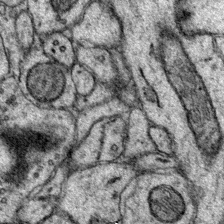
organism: Mouse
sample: Primary visual cortex